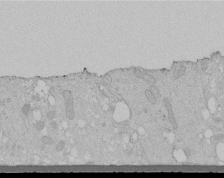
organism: Human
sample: Melanocyte Keratinocyte synapse skin construct